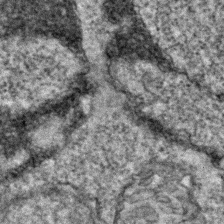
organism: Zebrafish